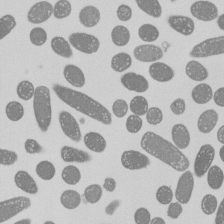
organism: E. coli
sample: Bacterial nucleoid